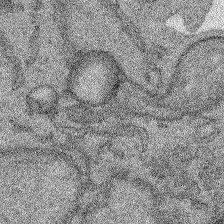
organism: Human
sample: HeLa cells